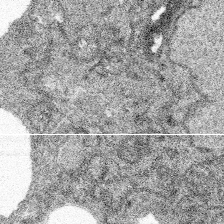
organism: Spongilla lacustris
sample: Multiple